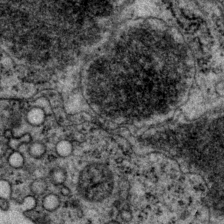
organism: P. pacificus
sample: Pharynx